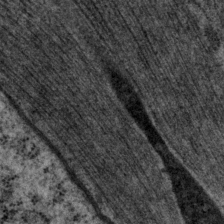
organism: P. pacificus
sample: Pharynx